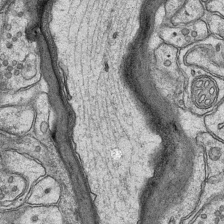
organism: Mouse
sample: CA1 Hippocampus